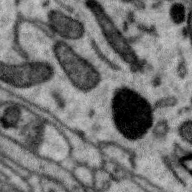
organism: Zebra finch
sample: Brain